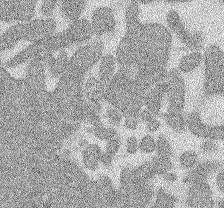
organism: Human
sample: HeLa cells